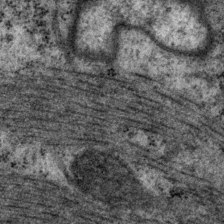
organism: P. pacificus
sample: Pharynx